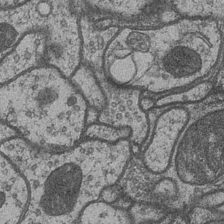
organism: Drosophila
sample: Optic medulla